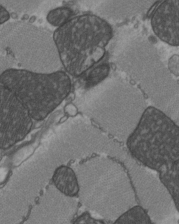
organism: C57BL Mouse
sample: Heart